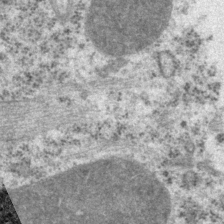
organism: P. pacificus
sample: Pharynx